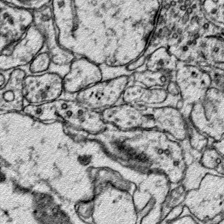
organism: Mouse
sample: Primary visual cortex